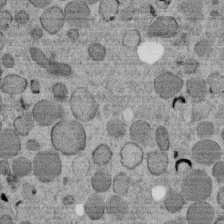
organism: C. elegans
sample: C. elegans embryo early stage